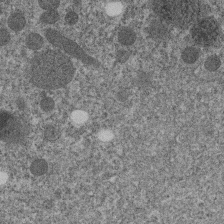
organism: C. elegans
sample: C. elegans embryo early stage